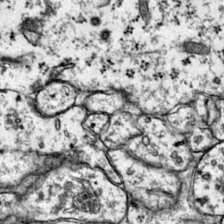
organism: Mouse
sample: Primary visual cortex